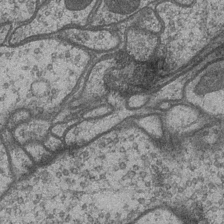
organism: Drosophila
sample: Optic medulla